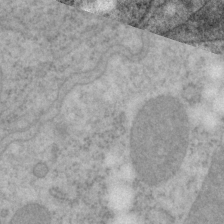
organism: P. pacificus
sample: Pharynx